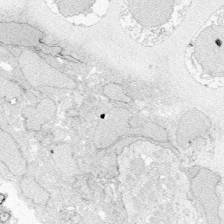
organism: Zebrafish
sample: Whole-Brain